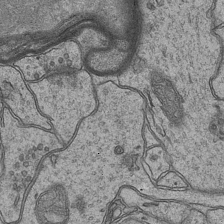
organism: Mouse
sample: CA1 Hippocampus